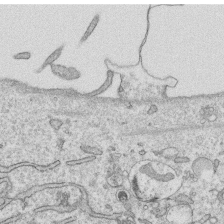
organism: Human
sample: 1205lu cells